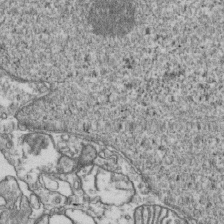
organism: Human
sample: Activated Jurkat CD4+ T cells